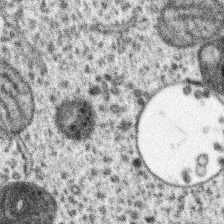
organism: Human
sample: HeLa cells